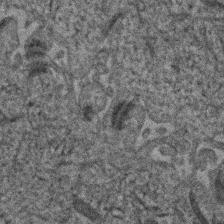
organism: Human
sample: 1205lu cells